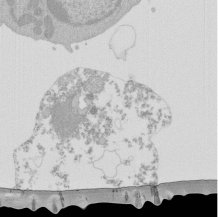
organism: Mouse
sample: Activated Pmel transgenic CD8+ T Cells